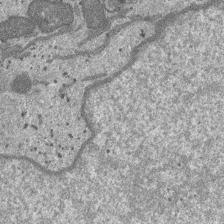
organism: Human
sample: Lung epithelial cells infected with SARS-CoV-2